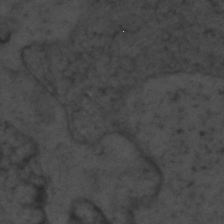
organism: Zebrafish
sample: Zebrafish embryo